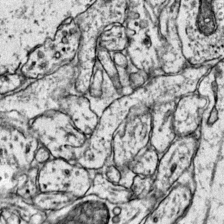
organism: Mouse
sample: Primary visual cortex